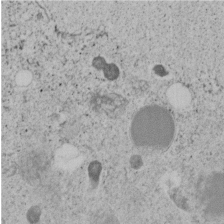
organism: C. elegans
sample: C. elegans embryo early stage